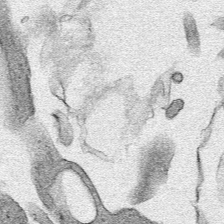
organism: Human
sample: Mitochondria in HCT116 cells